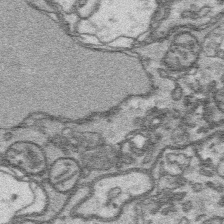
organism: Platynereis dumerilii